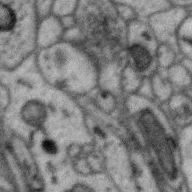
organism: Zebra finch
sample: Brain